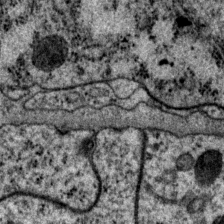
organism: P. pacificus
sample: Pharynx